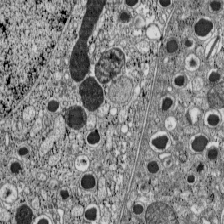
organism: C57BL Mouse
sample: Pancreatic islet